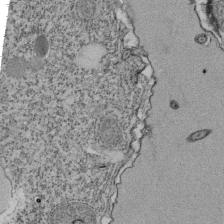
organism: Tetrahymena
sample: Cilia in tetrahymena